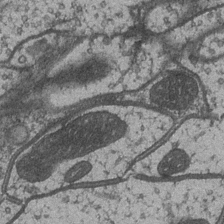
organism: Drosophila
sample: Optic medulla